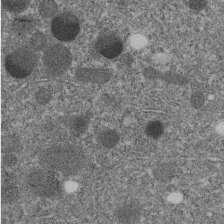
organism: C. elegans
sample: C. elegans embryo early stage